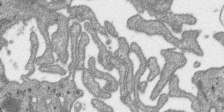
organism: Human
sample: Lung epithelial cells infected with SARS-CoV-2